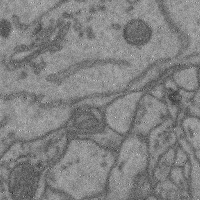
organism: Mouse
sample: Cerebral cortex